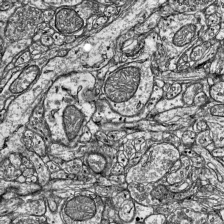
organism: Mouse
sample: Visual Cortex